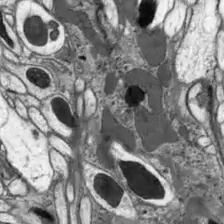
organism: Drosophila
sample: Optic lobe